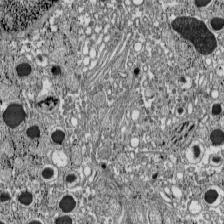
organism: C57BL Mouse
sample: Pancreatic islet